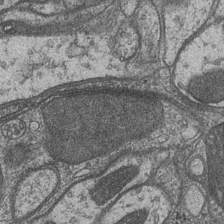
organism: Drosophila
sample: Optic medulla